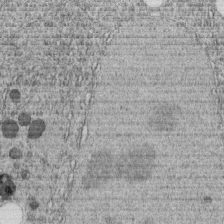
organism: C. elegans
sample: C. elegans embryo early stage